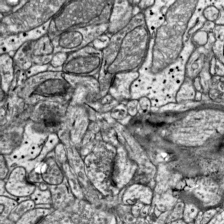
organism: Mouse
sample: Visual Cortex